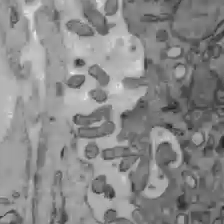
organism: C57BL Mouse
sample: Liver